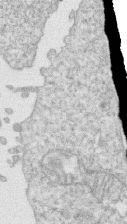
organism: Human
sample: HeLa cell HIV synapse